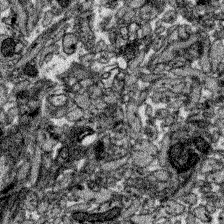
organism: Zebrafish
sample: Larval olfactory bulb